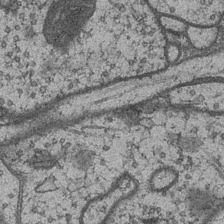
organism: Drosophila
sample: Optic medulla